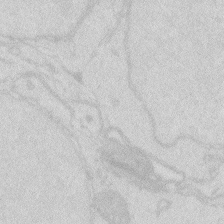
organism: Zebrafish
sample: Macrophage